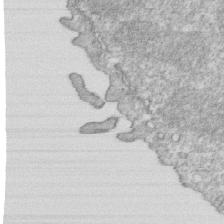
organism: Mouse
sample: Activated OT-1 CD8+ T cells